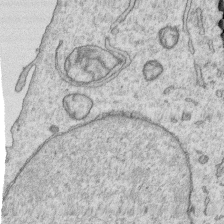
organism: Human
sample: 1205lu cells